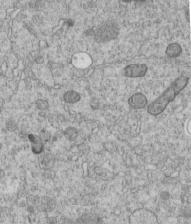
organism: C. elegans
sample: C. elegans embryo early stage